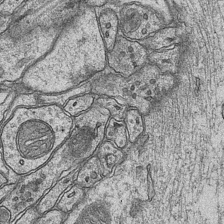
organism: Mouse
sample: CA1 Hippocampus